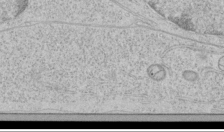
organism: Human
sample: Mitochondria in HCT116 cells